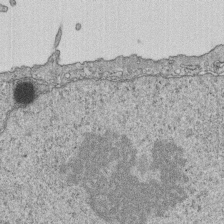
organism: Human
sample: HeLa cell HIV synapse